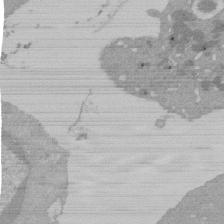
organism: Mouse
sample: Activated Pmel transgenic CD8+ T Cells